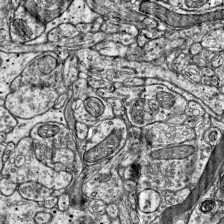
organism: Mouse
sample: Visual Cortex